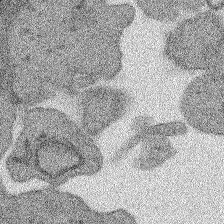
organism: Human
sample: HeLa cells